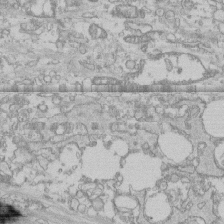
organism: Human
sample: CRL-1474